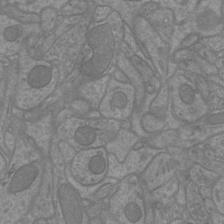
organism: Mouse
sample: Cortical neurons